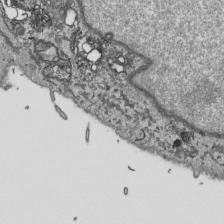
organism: Human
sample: Mitochondria in HCT116 cells